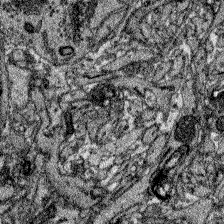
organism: Zebrafish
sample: Larval olfactory bulb